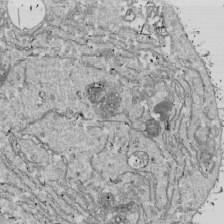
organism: Drosophila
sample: Cell division; meiosis; drosophila spermatocytes